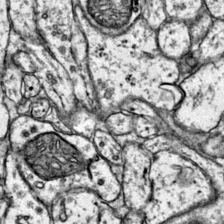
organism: Mouse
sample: Primary visual cortex